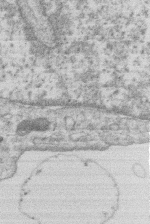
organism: Human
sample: Macrophage cells